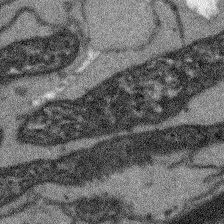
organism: Arabidopsis thaliana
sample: Root tip